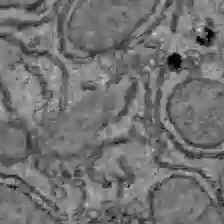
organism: C57BL Mouse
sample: Liver